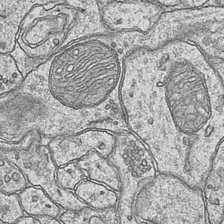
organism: Mouse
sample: CA1 Hippocampus